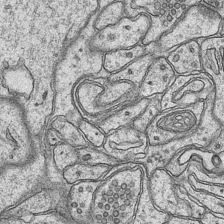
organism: Mouse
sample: CA1 Hippocampus